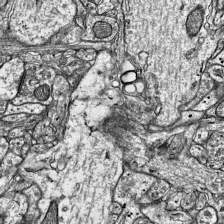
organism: Mouse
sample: Visual Cortex